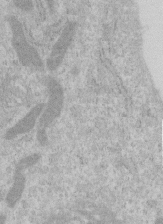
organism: Human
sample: Centriole in RPE cells